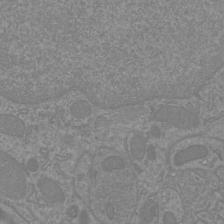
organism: Mouse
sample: Cortical neurons